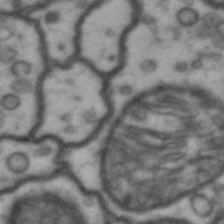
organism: Drosophila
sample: Brain